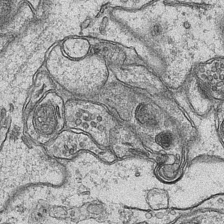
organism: Mouse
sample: CA1 Hippocampus